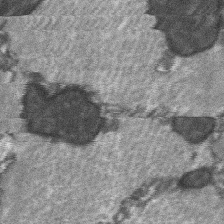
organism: C57BL Mouse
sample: Soleus